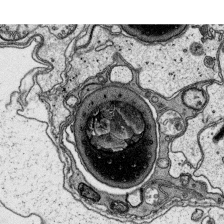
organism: Platynereis dumerilii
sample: Parapodia